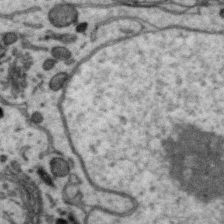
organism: Zebra finch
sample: Brain